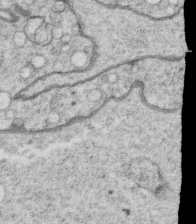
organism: C. elegans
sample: C. elegans oocyte; sperm cells